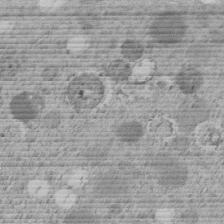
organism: C. elegans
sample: C. elegans embryo early stage